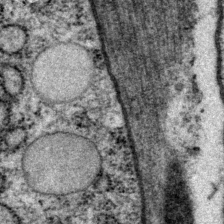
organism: P. pacificus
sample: Pharynx